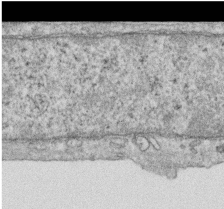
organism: Human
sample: Centriole in RPE cells